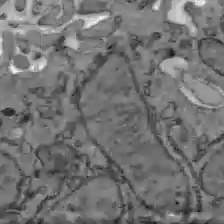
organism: C57BL Mouse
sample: Liver